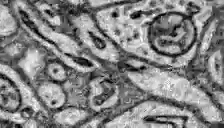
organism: Zebrafish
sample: Brain